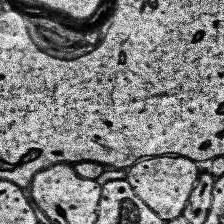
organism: Human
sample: Temporal Lobe